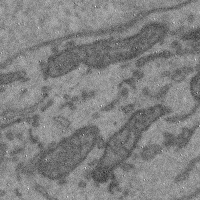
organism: Mouse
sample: Cerebral cortex